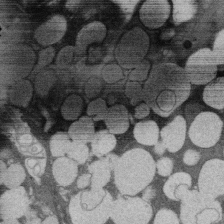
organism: Rat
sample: Salivary granule